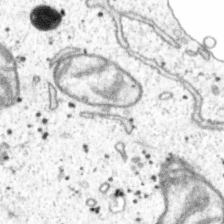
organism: Human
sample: HeLa cells